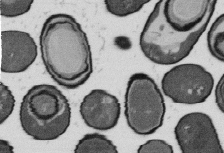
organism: B. subtilis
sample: Bacterial spore